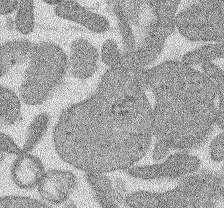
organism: Human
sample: HeLa cells